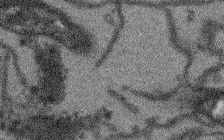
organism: Arabidopsis thaliana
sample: Root tip